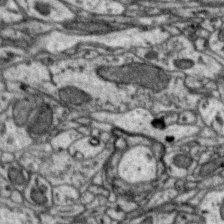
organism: Zebra finch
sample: Brain